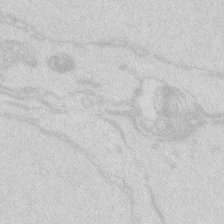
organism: Zebrafish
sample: Macrophage